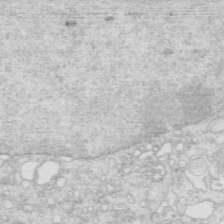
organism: Mouse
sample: Multiciliated cells